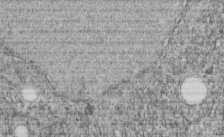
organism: C. elegans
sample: C. elegans embryo early stage